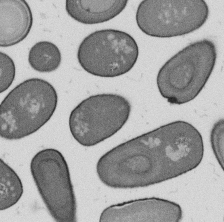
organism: B. subtilis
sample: Bacterial spore